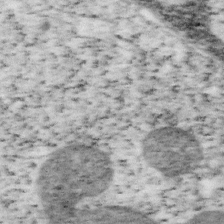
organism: Mouse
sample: OT-I killer T cells with ID8 ovarian cancer cells